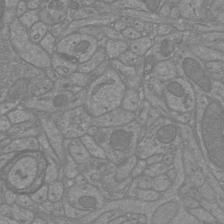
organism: Mouse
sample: Cortical neurons